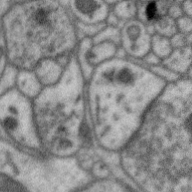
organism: Zebra finch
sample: Brain